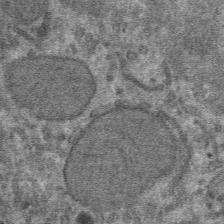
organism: Mouse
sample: Mouse hepatocytes